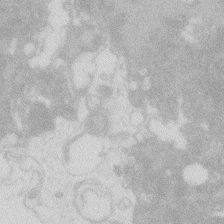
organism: Zebrafish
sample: Macrophage